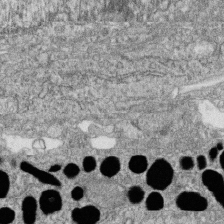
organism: Zebrafish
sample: Cilia; retinal pigment epithelium